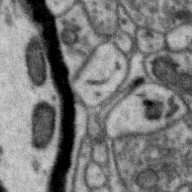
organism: Zebra finch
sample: Brain